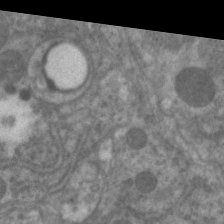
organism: C. elegans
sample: Pharynx